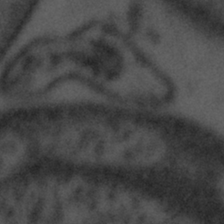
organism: Tuwongella immobilis